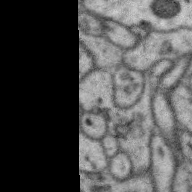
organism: Zebra finch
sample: Brain